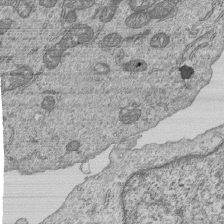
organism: Human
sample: MDA-MB-231 cells